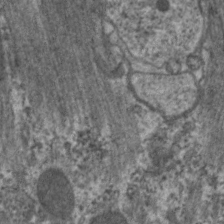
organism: C. elegans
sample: Pharynx